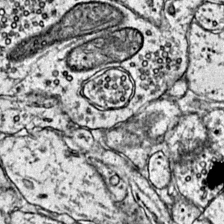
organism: Mouse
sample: Primary visual cortex